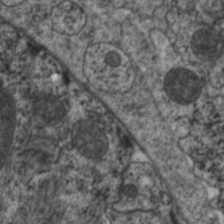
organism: C. elegans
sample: Pharynx